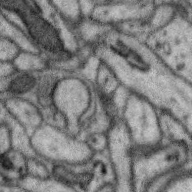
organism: Zebra finch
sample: Brain